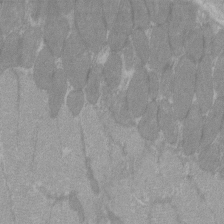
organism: C57BL Mouse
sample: Tibialis anterior muscle cell